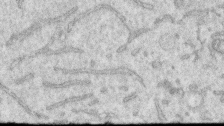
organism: Human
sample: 1205lu cells